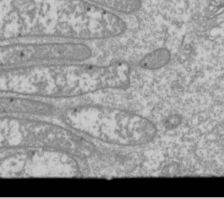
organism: Drosophila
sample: Cell division; meiosis; drosophila spermatocytes